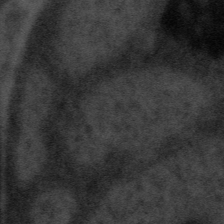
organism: Tuwongella immobilis